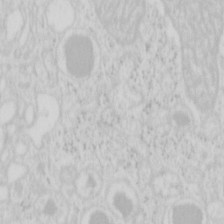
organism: Mouse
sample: Pancreas